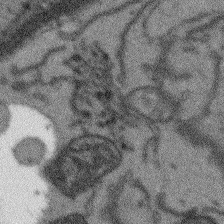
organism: Arabidopsis thaliana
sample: Root tip